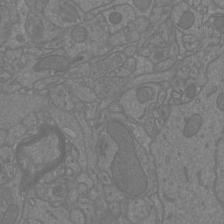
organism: Mouse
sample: Cortical neurons